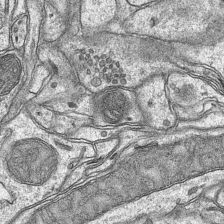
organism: Mouse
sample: CA1 Hippocampus